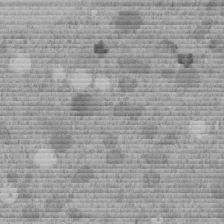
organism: C. elegans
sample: C. elegans embryo early stage